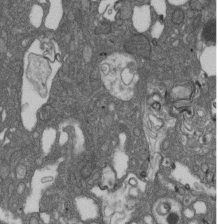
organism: Drosophila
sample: Nephrocyte